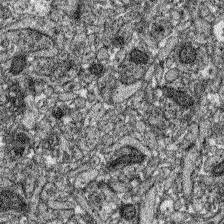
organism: Zebrafish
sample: Larval olfactory bulb